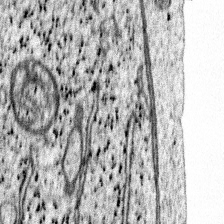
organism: Human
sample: HeLa cells